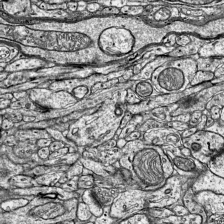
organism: Mouse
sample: Visual Cortex